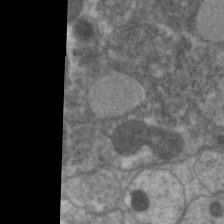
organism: C. elegans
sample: Pharynx